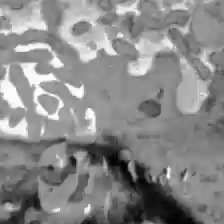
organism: C57BL Mouse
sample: Liver